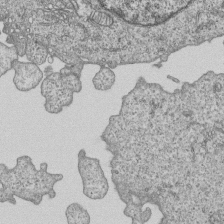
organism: Human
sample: MDA-MB-231 cells